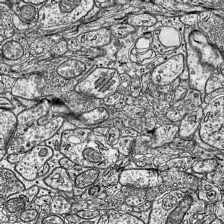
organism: Mouse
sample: Visual Cortex